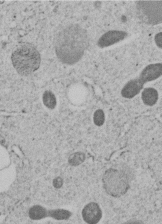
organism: C. elegans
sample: C. elegans embryo early stage